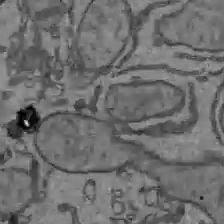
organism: C57BL Mouse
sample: Liver